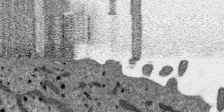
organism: Human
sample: Lung epithelial cells, uninfected (mock) control